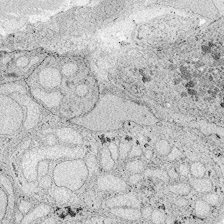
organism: Zebrafish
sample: Whole-Brain